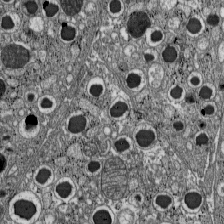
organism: C57BL Mouse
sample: Pancreatic islet